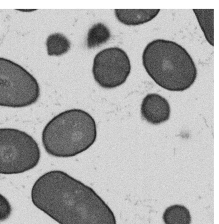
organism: B. subtilis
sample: Bacterial spore